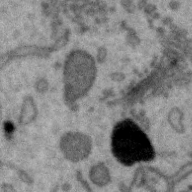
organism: Zebra finch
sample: Brain